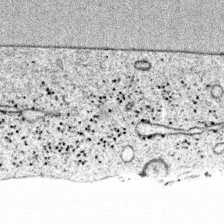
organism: Human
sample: HeLa cells